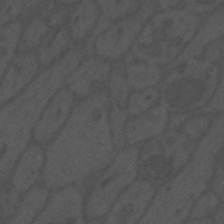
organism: Mouse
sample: Suprachiasmatic nucleus